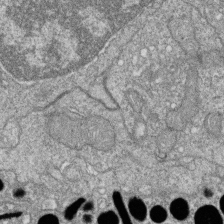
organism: Zebrafish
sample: Cilia; retinal pigment epithelium